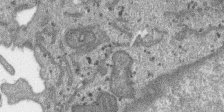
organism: Human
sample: Lung epithelial cells infected with SARS-CoV-2